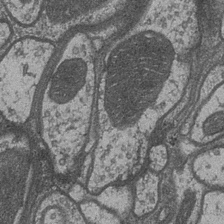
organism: Drosophila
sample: Optic medulla